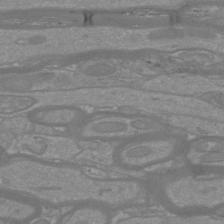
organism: Mouse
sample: Cortical neurons